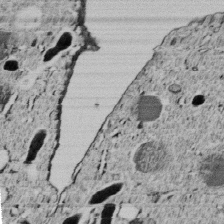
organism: C. elegans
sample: C. elegans embryo early stage